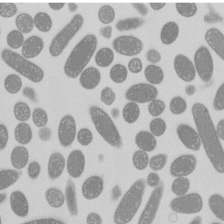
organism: E. coli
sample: Bacterial nucleoid